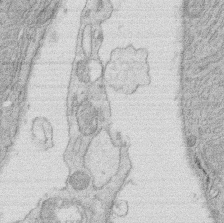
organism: Rat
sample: Salivary granule